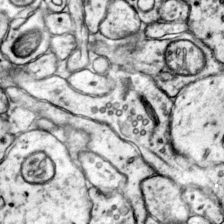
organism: Mouse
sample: Primary visual cortex